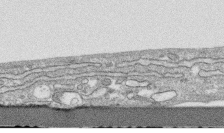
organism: Human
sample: CRL-1474